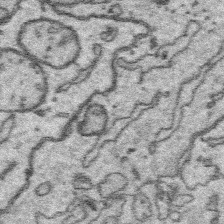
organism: Platynereis dumerilii